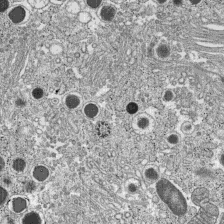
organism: C57BL Mouse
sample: Pancreatic islet